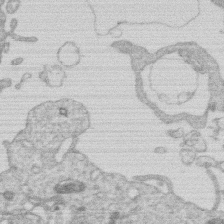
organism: Human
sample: Macrophage cells